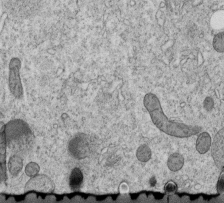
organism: C. elegans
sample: C. elegans embryo early stage